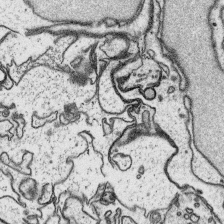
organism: Platynereis dumerilii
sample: Parapodia